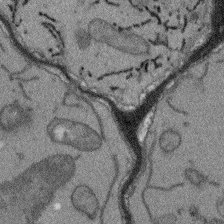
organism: Arabidopsis thaliana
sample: Root tip